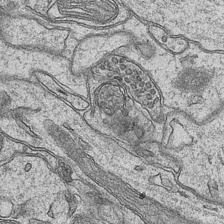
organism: Mouse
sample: CA1 Hippocampus